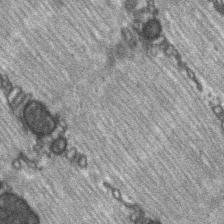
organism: C57BL Mouse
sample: Soleus